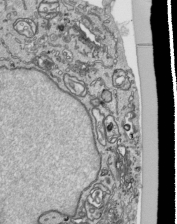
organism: Human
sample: Mitochondria in HCT116 cells